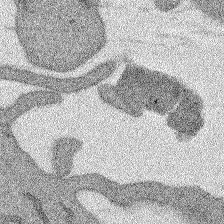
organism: Human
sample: HeLa cells